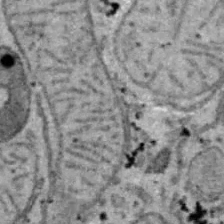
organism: Mouse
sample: Liver from an obese (ob/ob) mouse